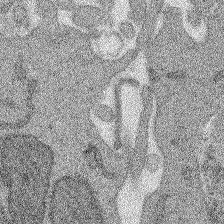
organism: Human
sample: HeLa cells